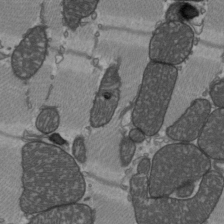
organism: C57BL Mouse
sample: Heart